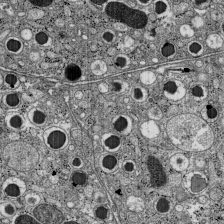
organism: C57BL Mouse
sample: Pancreatic islet